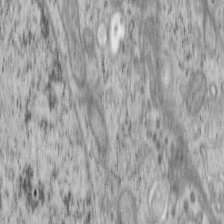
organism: Human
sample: HeLa cells